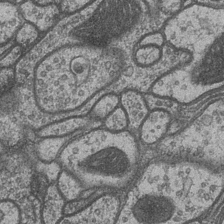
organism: Drosophila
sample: Optic medulla